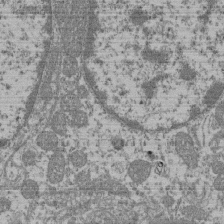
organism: Mouse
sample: Glomerulus